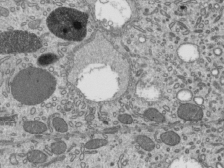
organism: Mouse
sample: Mouse epididymis efferent ductule cilia